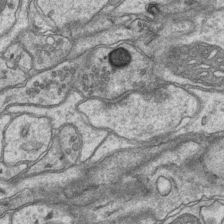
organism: Mouse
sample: CA1 Hippocampus